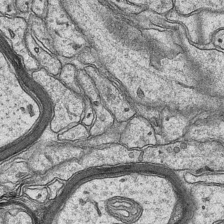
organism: Mouse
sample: CA1 Hippocampus